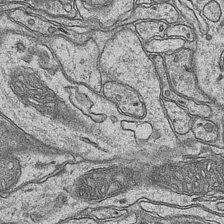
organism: Mouse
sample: CA1 Hippocampus